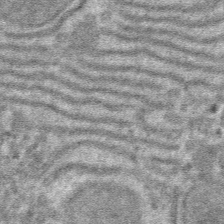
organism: Mouse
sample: Mouse hepatocytes